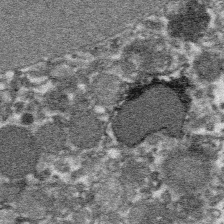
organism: Platynereis dumerilii